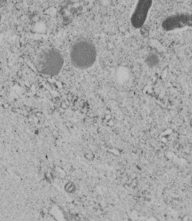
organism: C. elegans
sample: C. elegans embryo early stage